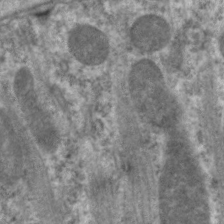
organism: C. elegans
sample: Pharynx